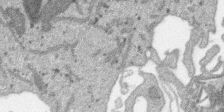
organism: Human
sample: Lung epithelial cells infected with SARS-CoV-2